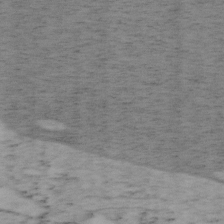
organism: Mouse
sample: OT-I killer T cells with ID8 ovarian cancer cells